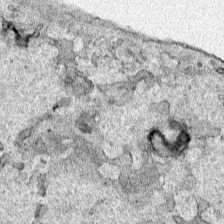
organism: Human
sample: Mitochondria in HCT116 cells